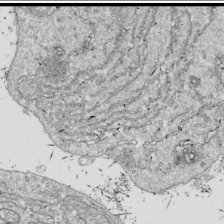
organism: Drosophila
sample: Cell division; meiosis; drosophila spermatocytes